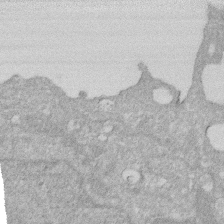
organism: Human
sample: HIV infected U937 cells